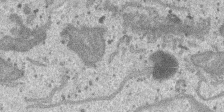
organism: Human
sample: Lung epithelial cells infected with SARS-CoV-2